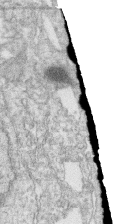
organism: Human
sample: HeLa cell HIV synapse